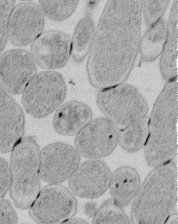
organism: E. coli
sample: Bacterial nucleoid